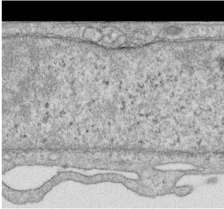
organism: Human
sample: Centriole in RPE cells